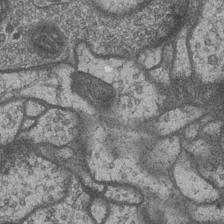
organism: Drosophila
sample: Optic medulla